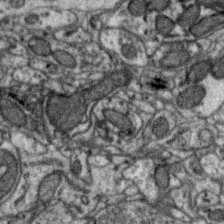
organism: Zebra finch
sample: Brain